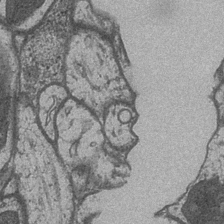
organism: Drosophila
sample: Optic medulla